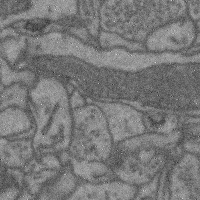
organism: Mouse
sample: Cerebral cortex